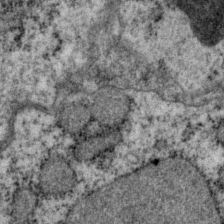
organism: P. pacificus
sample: Pharynx